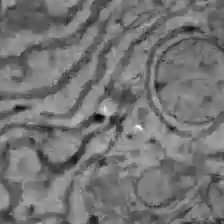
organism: C57BL Mouse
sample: Liver